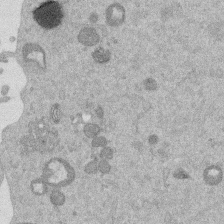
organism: Mouse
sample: Dividing mouse embryo 1 cell stage